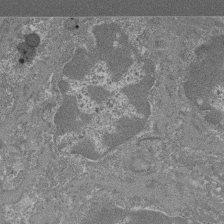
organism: Mouse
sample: Glomerulus